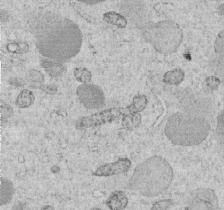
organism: C. elegans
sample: C. elegans embryo early stage